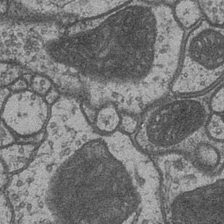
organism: Drosophila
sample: Optic medulla